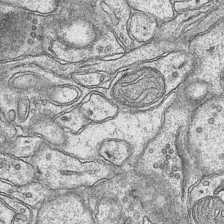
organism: Mouse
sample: CA1 Hippocampus